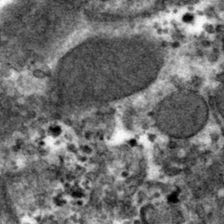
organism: Mouse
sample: Mouse hepatocytes